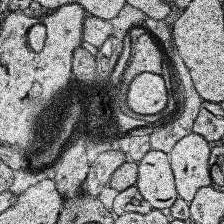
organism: Human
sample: Temporal Lobe